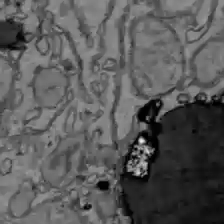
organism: C57BL Mouse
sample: Liver